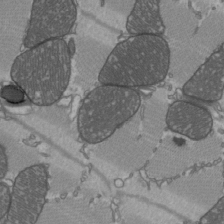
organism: C57BL Mouse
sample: Heart